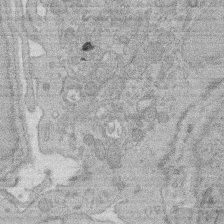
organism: Rat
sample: Salivary granule